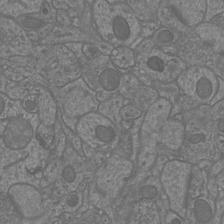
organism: Mouse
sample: Cortical neurons